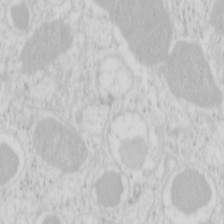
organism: Mouse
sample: Pancreas